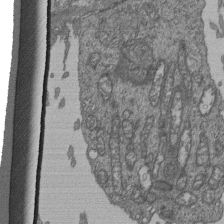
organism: Human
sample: Retinal organoid Rod and Cone cells